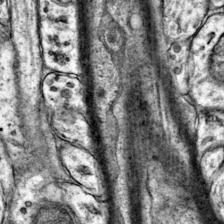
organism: Mouse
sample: Primary visual cortex